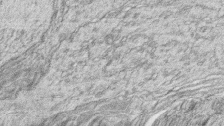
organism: Zebrafish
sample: synaptic ribbons in rod cells and cone cells